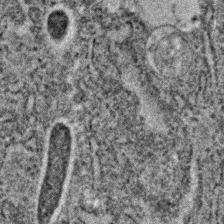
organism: C. elegans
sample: C. elegans embryo